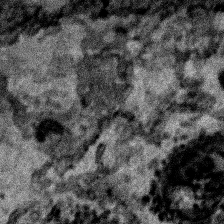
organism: Human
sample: Mitochondria in HCT116 cells